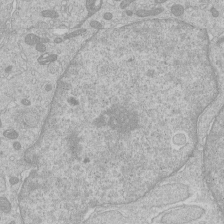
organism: Human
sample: Macrophage cells